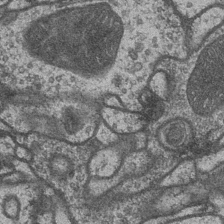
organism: Drosophila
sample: Optic medulla